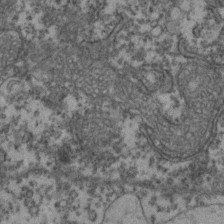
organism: Zebrafish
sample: Zebrafish embryo